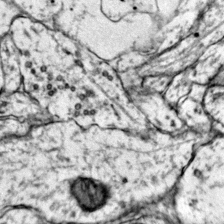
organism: Mouse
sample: Primary visual cortex